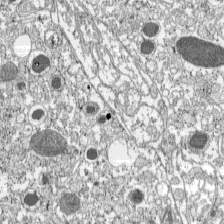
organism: C57BL Mouse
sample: Pancreatic islet